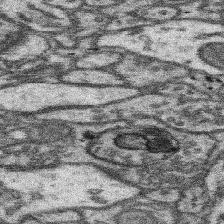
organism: Mouse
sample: Somatosensory cortex neuropil